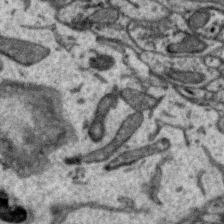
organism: Zebra finch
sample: Brain